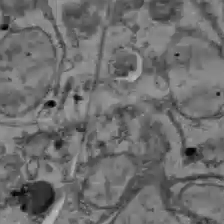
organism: C57BL Mouse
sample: Liver